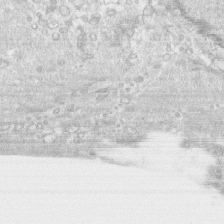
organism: Human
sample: CRL-1474